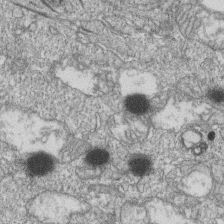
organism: Human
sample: HeLa cell HIV synapse